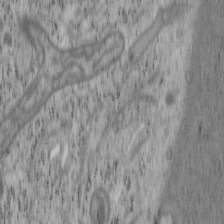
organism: Human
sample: HeLa cells